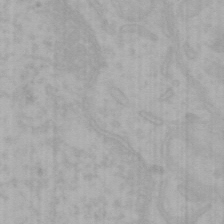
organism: Mouse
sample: Choroid plexus